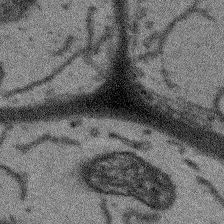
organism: Arabidopsis thaliana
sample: Root tip